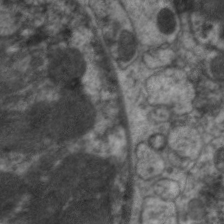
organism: C. elegans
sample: Pharynx